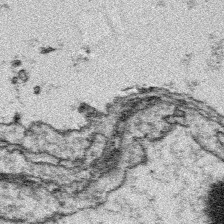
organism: Platynereis dumerilii